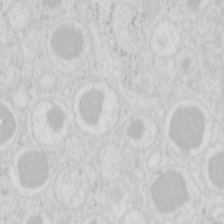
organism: Mouse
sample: Pancreas